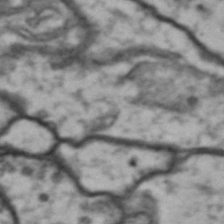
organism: Drosophila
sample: Brain